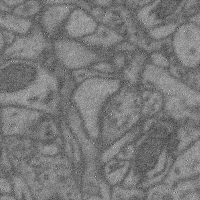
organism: Mouse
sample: Cerebral cortex